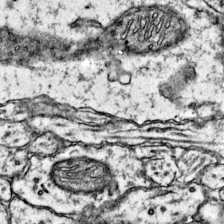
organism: Mouse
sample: Primary visual cortex